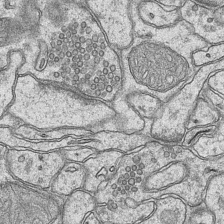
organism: Mouse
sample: CA1 Hippocampus